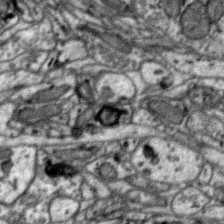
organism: Zebra finch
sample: Brain